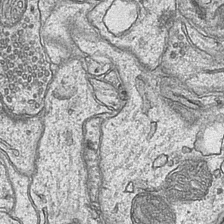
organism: Mouse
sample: CA1 Hippocampus